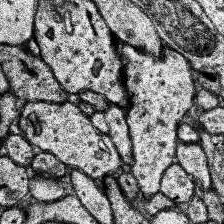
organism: Human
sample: Temporal Lobe